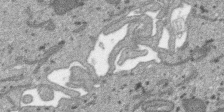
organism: Human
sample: Lung epithelial cells infected with SARS-CoV-2